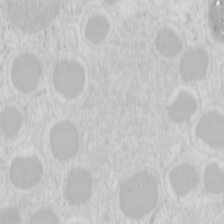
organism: Mouse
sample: Pancreas